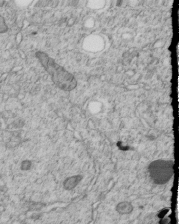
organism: C. elegans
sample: C. elegans embryo early stage